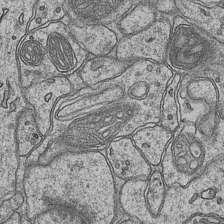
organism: Mouse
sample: CA1 Hippocampus